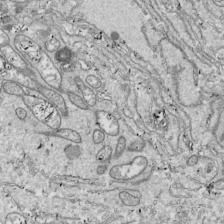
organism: Drosophila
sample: Cell division; meiosis; drosophila spermatocytes